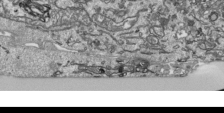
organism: Human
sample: Mitochondria in HCT116 cells